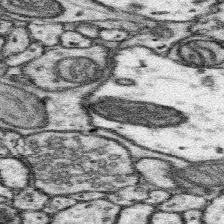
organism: Mouse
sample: Somatosensory cortex neuropil